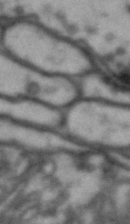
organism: Drosophila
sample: Brain